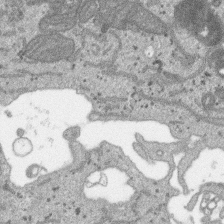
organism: Human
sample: Lung epithelial cells infected with SARS-CoV-2